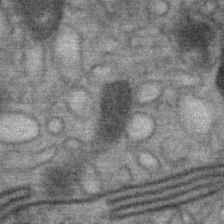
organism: Mouse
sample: Mouse Salivary gland